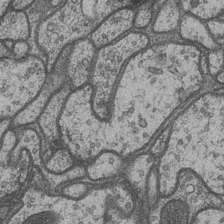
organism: Drosophila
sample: Optic medulla